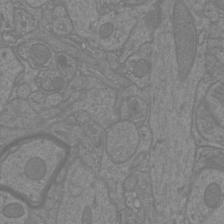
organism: Mouse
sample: Cortical neurons